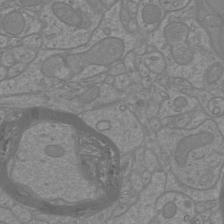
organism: Mouse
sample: Cortical neurons